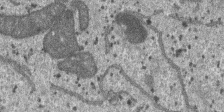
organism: Human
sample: Lung epithelial cells infected with SARS-CoV-2